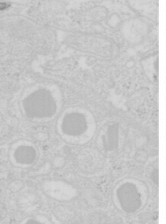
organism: Mouse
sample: Pancreas